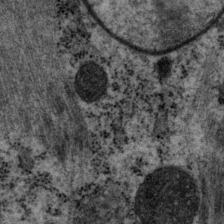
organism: P. pacificus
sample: Pharynx